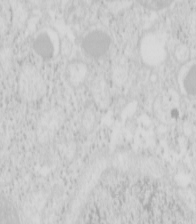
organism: Mouse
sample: Pancreas